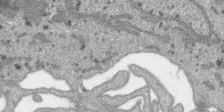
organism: Human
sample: Lung epithelial cells infected with SARS-CoV-2